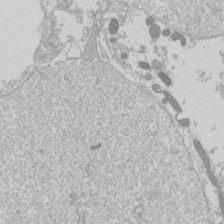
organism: Drosophila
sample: Cell division; meiosis; drosophila spermatocytes